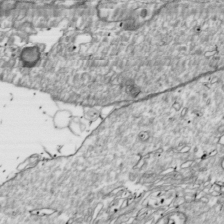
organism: Drosophila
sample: Cell division; meiosis; drosophila spermatocytes